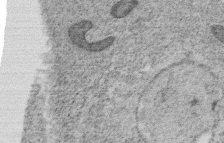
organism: C. elegans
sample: C. elegans oocyte; sperm cells